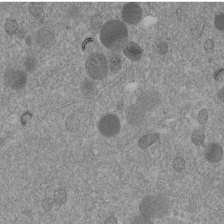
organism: C. elegans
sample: C. elegans embryo early stage